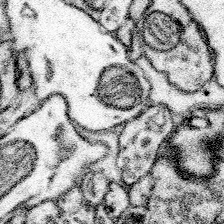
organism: Mouse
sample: Somatosensory cortex neuropil